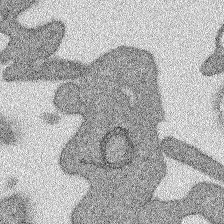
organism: Human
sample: HeLa cells